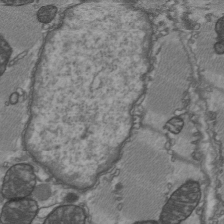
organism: C57BL Mouse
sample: Heart